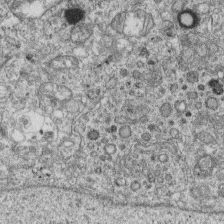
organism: Human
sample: HeLa cell HIV synapse